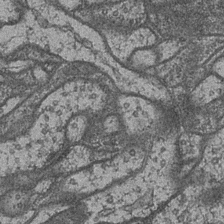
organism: Drosophila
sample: Optic medulla